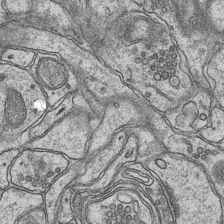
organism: Mouse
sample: CA1 Hippocampus